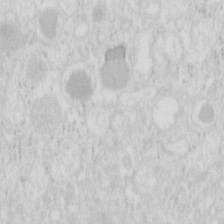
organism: Mouse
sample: Pancreas